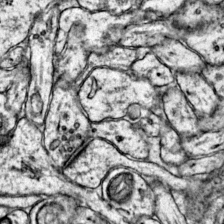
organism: Mouse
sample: Primary visual cortex